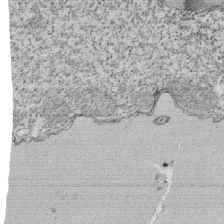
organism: Tetrahymena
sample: Cilia in tetrahymena